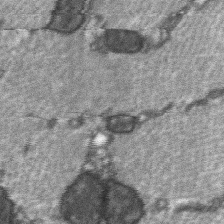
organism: C57BL Mouse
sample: Soleus